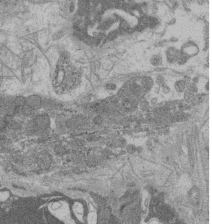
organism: Rat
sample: Salivary granule